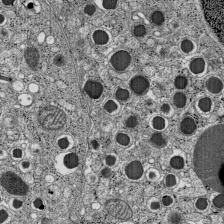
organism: C57BL Mouse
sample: Pancreatic islet